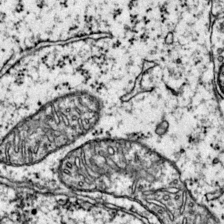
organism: Mouse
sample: Primary visual cortex